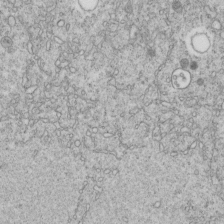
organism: C. elegans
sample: C. elegans embryo early stage